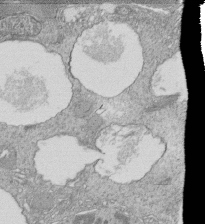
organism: Tetrahymena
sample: Cilia in tetrahymena